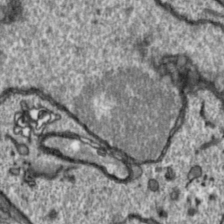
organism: Toxoplasma gondii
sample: Parasites in a vacuole inside a host cell